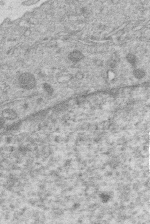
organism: Human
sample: Macrophage cells